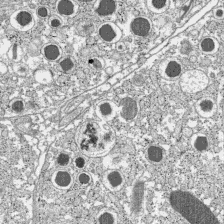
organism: C57BL Mouse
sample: Pancreatic islet